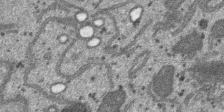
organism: Human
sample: Lung epithelial cells infected with SARS-CoV-2